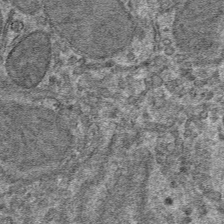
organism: Mouse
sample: Mouse hepatocytes